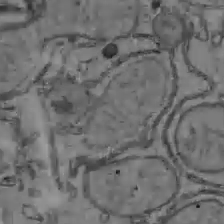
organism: C57BL Mouse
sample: Liver